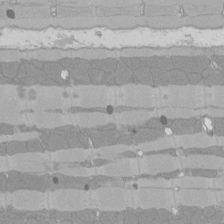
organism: Rat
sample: Left ventricle